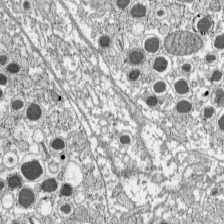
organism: C57BL Mouse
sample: Pancreatic islet